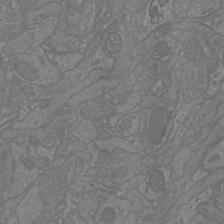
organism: Mouse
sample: Cortical neurons